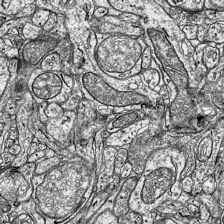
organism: Mouse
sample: Visual Cortex